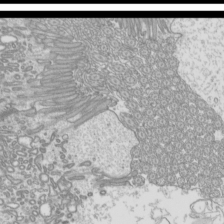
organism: Mouse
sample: Cilia; mouse epididymis